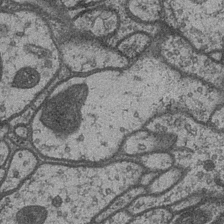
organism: Drosophila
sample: Optic medulla